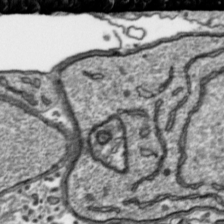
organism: Toxoplasma gondii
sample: Parasites in a vacuole inside a host cell